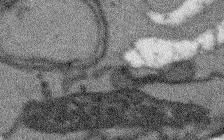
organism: Arabidopsis thaliana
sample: Root tip